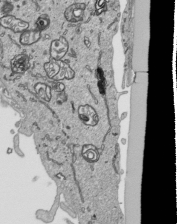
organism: Human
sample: Mitochondria in HCT116 cells